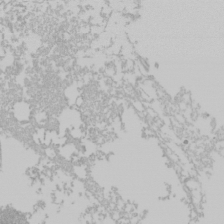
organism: Mouse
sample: Cancer cell death in ED-1 cells